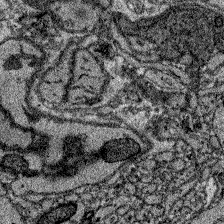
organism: Zebrafish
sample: Larval olfactory bulb